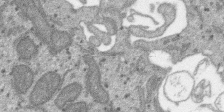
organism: Human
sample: Lung epithelial cells infected with SARS-CoV-2